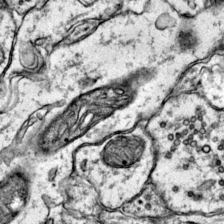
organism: Mouse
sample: Primary visual cortex